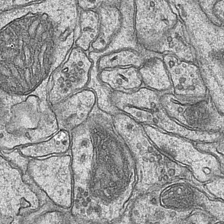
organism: Mouse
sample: CA1 Hippocampus